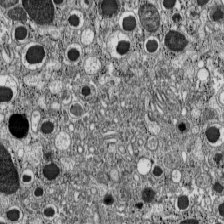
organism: C57BL Mouse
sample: Pancreatic islet